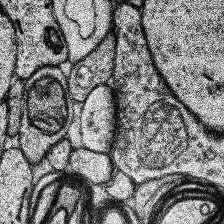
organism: Human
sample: Temporal Lobe